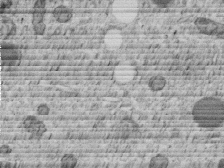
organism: C. elegans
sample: C. elegans embryo early stage